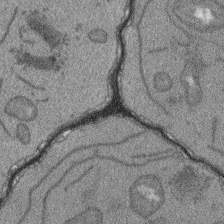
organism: Arabidopsis thaliana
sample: Root tip